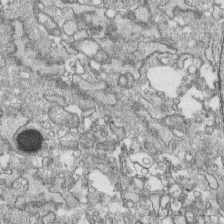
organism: Human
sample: CRL-1474